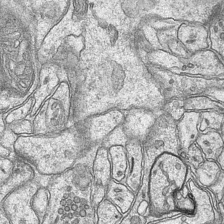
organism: Mouse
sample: CA1 Hippocampus